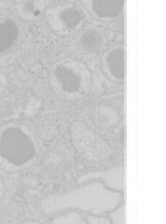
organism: Mouse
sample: Pancreas